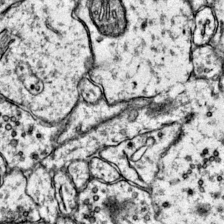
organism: Mouse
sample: Primary visual cortex